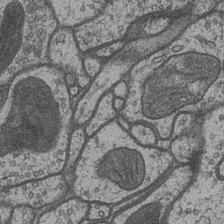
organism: Drosophila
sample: Optic medulla